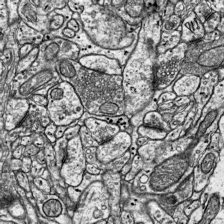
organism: Mouse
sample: Visual Cortex